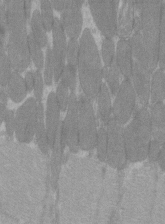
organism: C57BL Mouse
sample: Tibialis anterior muscle cell